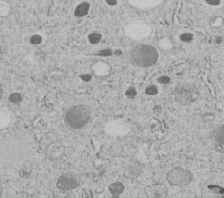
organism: C. elegans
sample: C. elegans embryo early stage